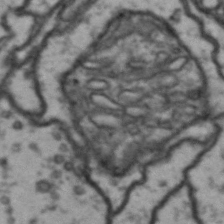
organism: Drosophila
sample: Brain